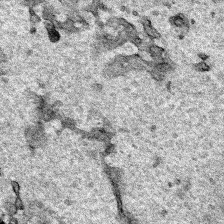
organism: Human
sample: Mitochondria in HCT116 cells